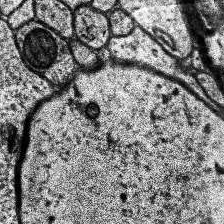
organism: Human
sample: Temporal Lobe